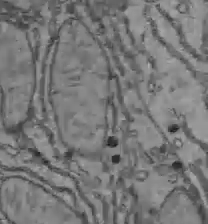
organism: C57BL Mouse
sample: Liver